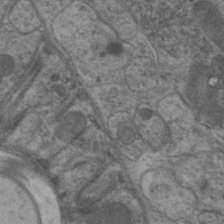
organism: C. elegans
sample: Pharynx